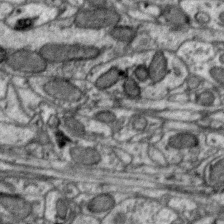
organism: Zebra finch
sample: Brain